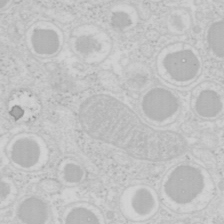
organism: Mouse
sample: Pancreas